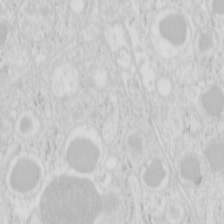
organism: Mouse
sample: Pancreas